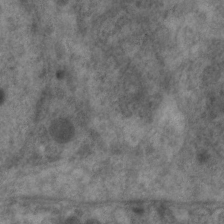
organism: C. elegans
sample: Pharynx